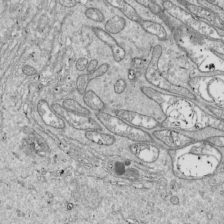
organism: Drosophila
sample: Cell division; meiosis; drosophila spermatocytes